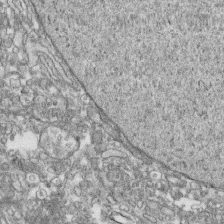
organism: Human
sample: CRL-1474